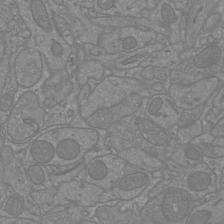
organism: Mouse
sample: Cortical neurons